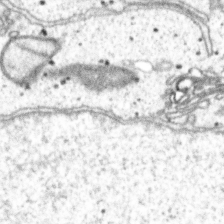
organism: Human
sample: HeLa cells